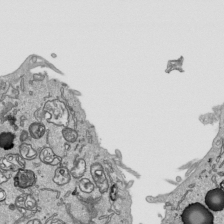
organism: Human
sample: Mitochondria in HCT116 cells